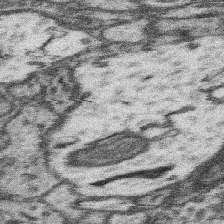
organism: Mouse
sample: Somatosensory cortex neuropil